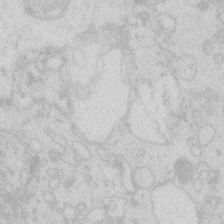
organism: Zebrafish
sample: Macrophage